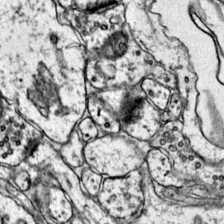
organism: Mouse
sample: Primary visual cortex